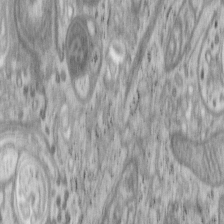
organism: Human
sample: HeLa cells